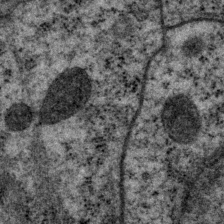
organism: P. pacificus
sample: Pharynx